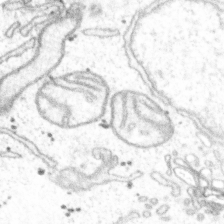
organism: Human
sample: HeLa cells